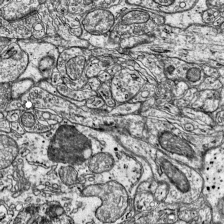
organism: Mouse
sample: Visual Cortex